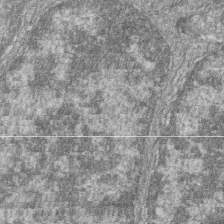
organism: Zebrafish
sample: Cilia; retinal pigment epithelium